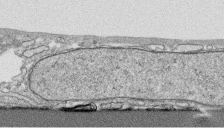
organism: Human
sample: CRL-1474